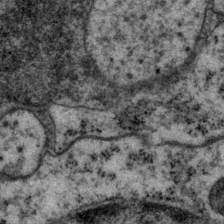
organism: P. pacificus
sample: Pharynx